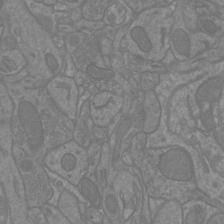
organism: Mouse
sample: Cortical neurons